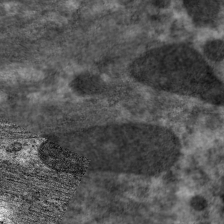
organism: C. elegans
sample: Pharynx